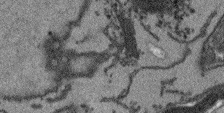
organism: Arabidopsis thaliana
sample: Root tip